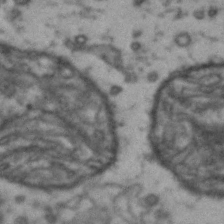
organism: Drosophila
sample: Brain